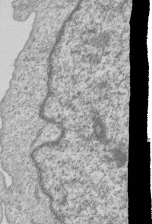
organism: Human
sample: MDA-MB-231 cells